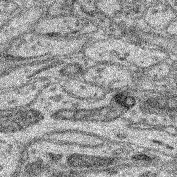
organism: Mouse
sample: Retina